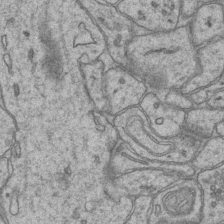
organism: Mouse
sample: CA1 Hippocampus